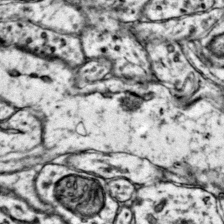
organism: Mouse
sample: Primary visual cortex